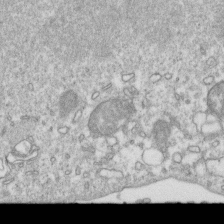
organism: Mouse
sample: Activated OT-1 CD8+ T cells